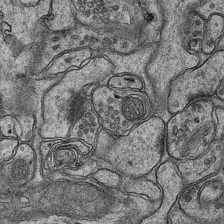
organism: Mouse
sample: CA1 Hippocampus